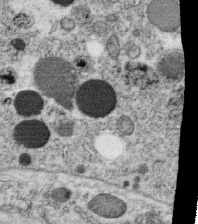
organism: C. elegans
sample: C. elegans oocyte; sperm cells